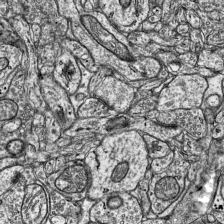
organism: Mouse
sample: Visual Cortex